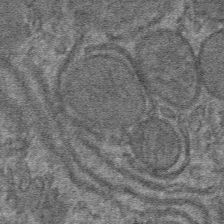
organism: Mouse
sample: Mouse hepatocytes